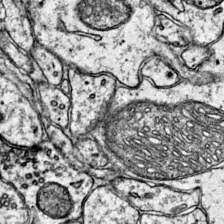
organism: Mouse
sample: Primary visual cortex